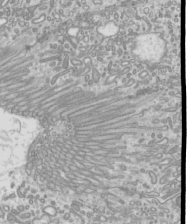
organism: Mouse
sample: Cilia; mouse epididymis